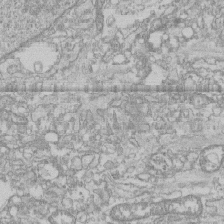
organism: Human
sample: CRL-1474